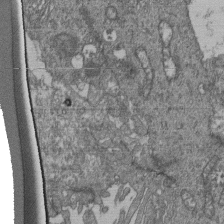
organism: Human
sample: Retinal organoid Rod and Cone cells